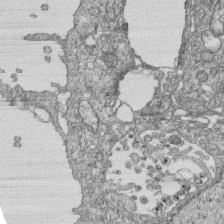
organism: Human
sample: HeLa cell HIV synapse